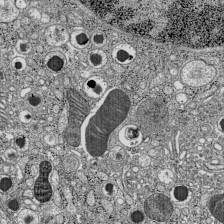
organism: C57BL Mouse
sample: Pancreatic islet